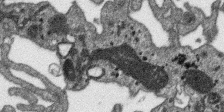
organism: Human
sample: Lung epithelial cells infected with SARS-CoV-2